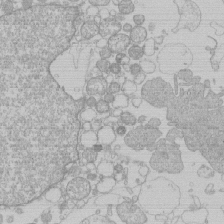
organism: Human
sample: Macrophage cells